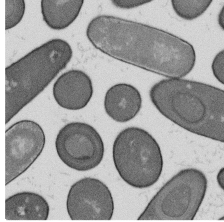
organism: B. subtilis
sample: Bacterial spore